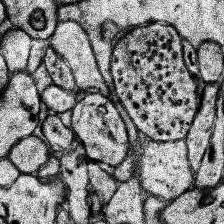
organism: Human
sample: Temporal Lobe